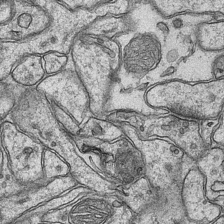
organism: Mouse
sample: CA1 Hippocampus